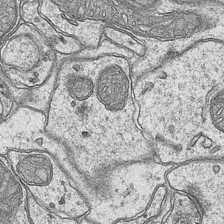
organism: Mouse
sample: CA1 Hippocampus